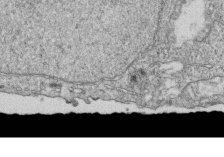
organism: Human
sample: HeLa cell HIV synapse